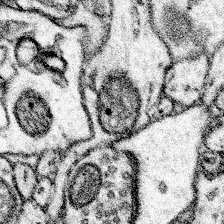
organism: Mouse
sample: Somatosensory cortex neuropil